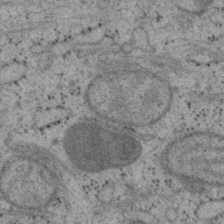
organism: Human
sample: HeLa cells